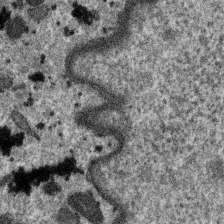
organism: Human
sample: Lung epithelial cells infected with SARS-CoV-2